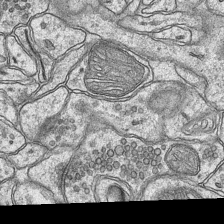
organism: Mouse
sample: CA1 Hippocampus